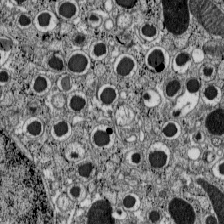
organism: C57BL Mouse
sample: Pancreatic islet